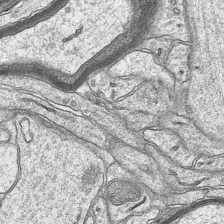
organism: Mouse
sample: CA1 Hippocampus